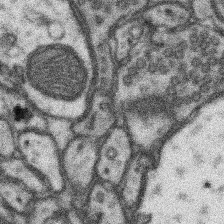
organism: Mouse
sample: Somatosensory cortex neuropil